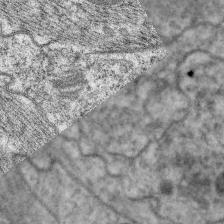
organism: C. elegans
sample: Pharynx